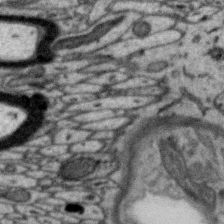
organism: Zebra finch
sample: Brain